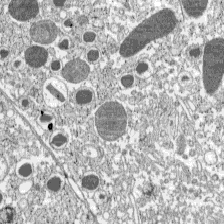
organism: C57BL Mouse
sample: Pancreatic islet